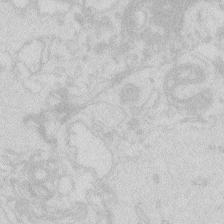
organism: Zebrafish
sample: Macrophage